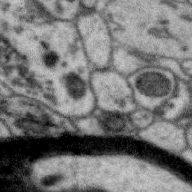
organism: Zebra finch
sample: Brain